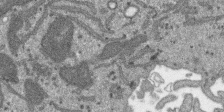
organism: Human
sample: Lung epithelial cells infected with SARS-CoV-2